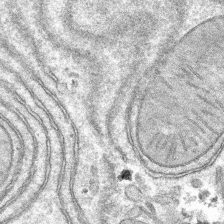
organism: Mouse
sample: Mouse hepatocytes